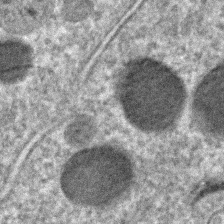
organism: C. elegans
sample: C. elegans embryo